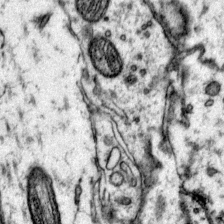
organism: Mouse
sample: Primary visual cortex